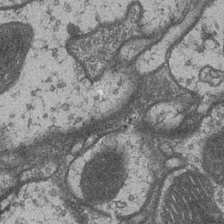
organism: Drosophila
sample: Optic medulla